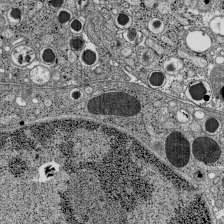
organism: C57BL Mouse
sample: Pancreatic islet